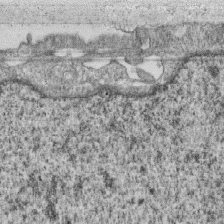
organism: African green monkey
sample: Vero E6 cells infected with SARS-CoV-2